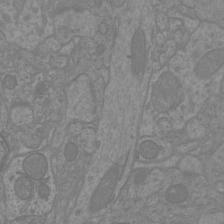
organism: Mouse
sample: Cortical neurons